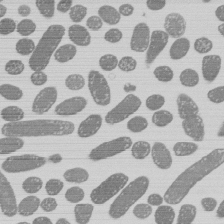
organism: E. coli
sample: Bacterial nucleoid